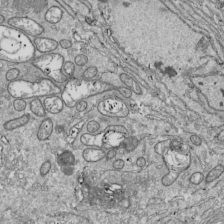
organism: Drosophila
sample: Cell division; meiosis; drosophila spermatocytes